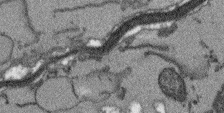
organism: Arabidopsis thaliana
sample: Root tip